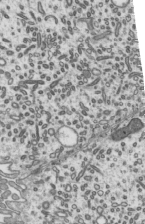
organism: Mouse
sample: Mouse epididymis efferent ductule cilia